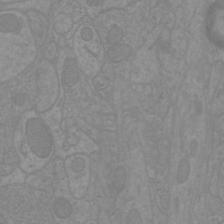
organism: Mouse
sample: Cortical neurons